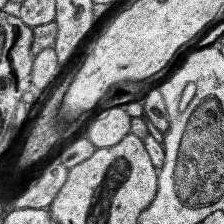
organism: Human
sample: Temporal Lobe